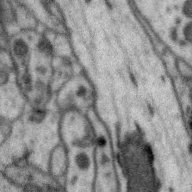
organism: Zebra finch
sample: Brain